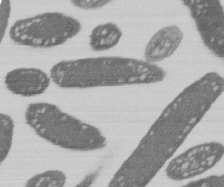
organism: E. coli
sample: Bacterial nucleoid